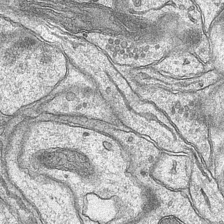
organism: Mouse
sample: CA1 Hippocampus